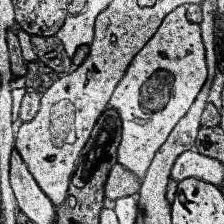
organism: Human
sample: Temporal Lobe